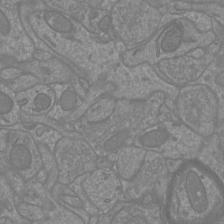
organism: Mouse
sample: Cortical neurons